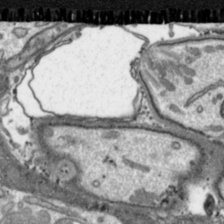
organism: Toxoplasma gondii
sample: Parasites in a vacuole inside a host cell